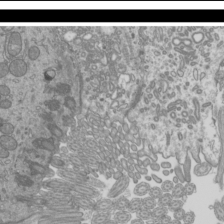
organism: Mouse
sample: Cilia; mouse epididymis